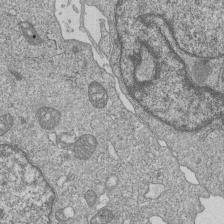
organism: Human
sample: MDA-MB-231 cells